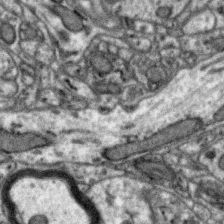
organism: Zebra finch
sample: Brain